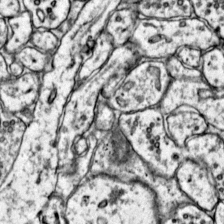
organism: Mouse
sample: Primary visual cortex